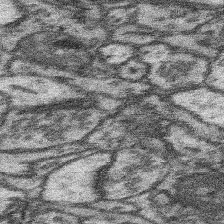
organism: Mouse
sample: Somatosensory cortex neuropil